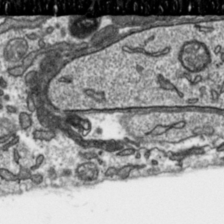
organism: Toxoplasma gondii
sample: Parasites in a vacuole inside a host cell